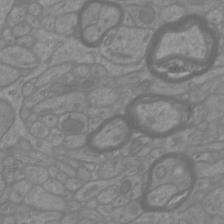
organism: Mouse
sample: Cortical neurons